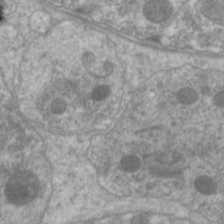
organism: C. elegans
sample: Pharynx